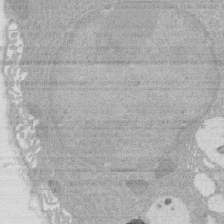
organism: Rat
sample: Salivary granule